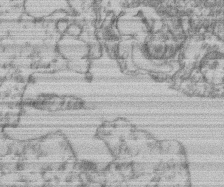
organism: Mouse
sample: T cell stromal cell synapse